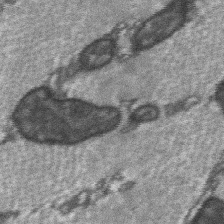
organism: C57BL Mouse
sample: Soleus